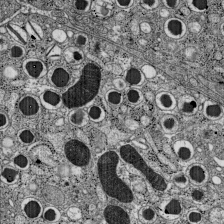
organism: C57BL Mouse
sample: Pancreatic islet